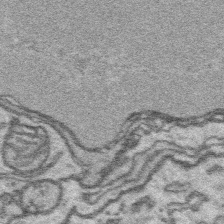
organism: Platynereis dumerilii